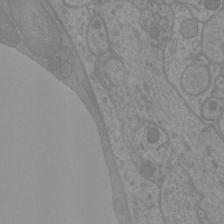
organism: Mouse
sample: Cortical neurons